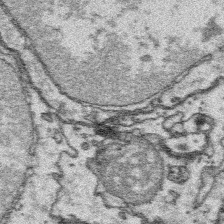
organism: Platynereis dumerilii